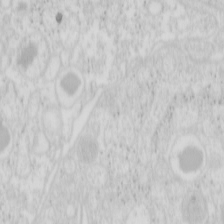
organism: Mouse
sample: Pancreas